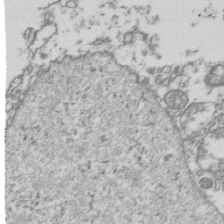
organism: Human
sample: Activated Jurkat CD4+ T cells